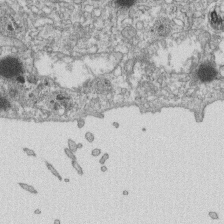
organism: Human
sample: HeLa cell HIV synapse